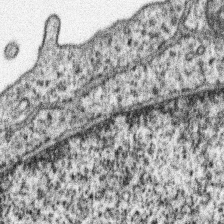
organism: Human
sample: HeLa cells